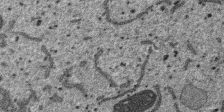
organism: Human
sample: Lung epithelial cells infected with SARS-CoV-2